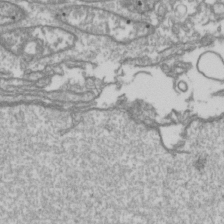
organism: Drosophila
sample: Cell division; meiosis; drosophila spermatocytes